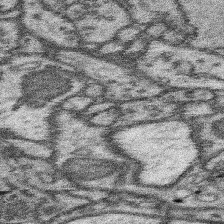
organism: Mouse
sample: Somatosensory cortex neuropil